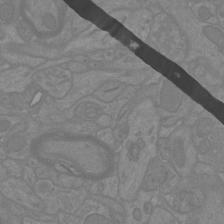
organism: Mouse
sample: Cortical neurons